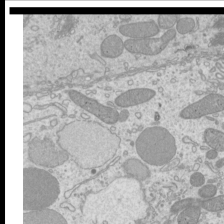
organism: Mouse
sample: Cilia; mouse epididymis